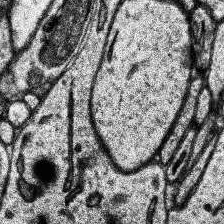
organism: Human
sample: Temporal Lobe